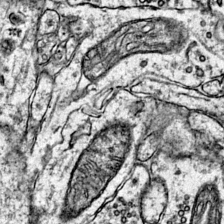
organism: Mouse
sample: Primary visual cortex